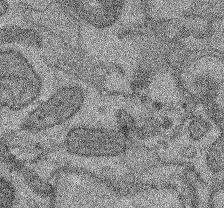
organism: Human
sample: HeLa cells